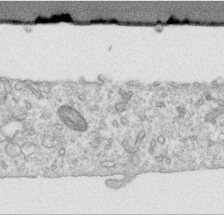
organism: Human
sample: Centriole in RPE cells